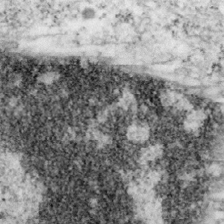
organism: Mouse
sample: OT-I killer T cells with ID8 ovarian cancer cells